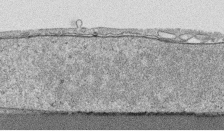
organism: Human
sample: CRL-1474